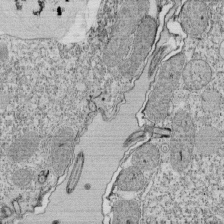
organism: Tetrahymena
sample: Cilia in tetrahymena